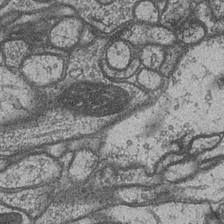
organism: Drosophila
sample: Optic medulla